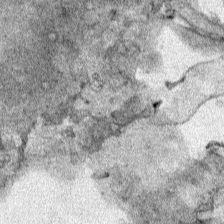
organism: Human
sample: Mitochondria in HCT116 cells